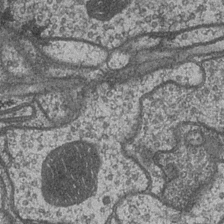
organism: Drosophila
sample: Optic medulla